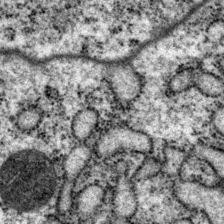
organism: P. pacificus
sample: Pharynx